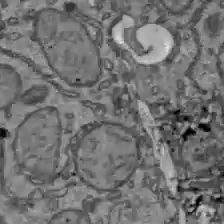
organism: C57BL Mouse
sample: Liver